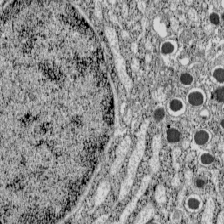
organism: C57BL Mouse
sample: Pancreatic islet